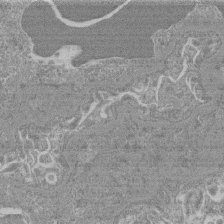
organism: Mouse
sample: Glomerulus